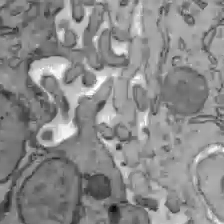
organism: C57BL Mouse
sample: Liver